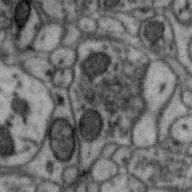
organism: Zebra finch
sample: Brain